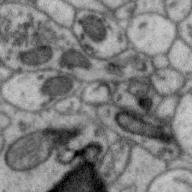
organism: Zebra finch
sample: Brain